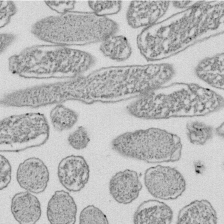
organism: E. coli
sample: Bacterial nucleoid